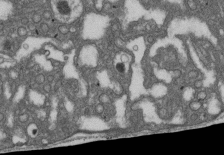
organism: Drosophila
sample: Nephrocyte